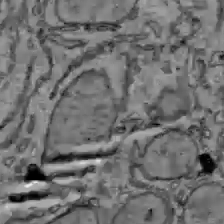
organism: C57BL Mouse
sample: Liver